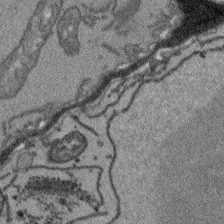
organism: Arabidopsis thaliana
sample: Root tip